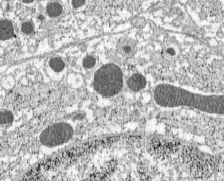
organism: C57BL Mouse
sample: Pancreatic islet